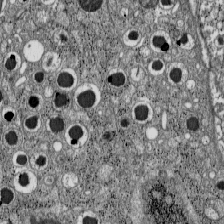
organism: C57BL Mouse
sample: Pancreatic islet